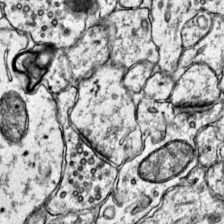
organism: Mouse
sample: Primary visual cortex